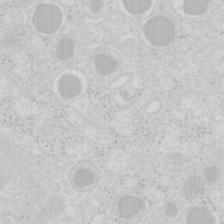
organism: Mouse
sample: Pancreas